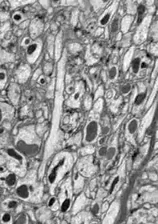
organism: Drosophila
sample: Optic lobe